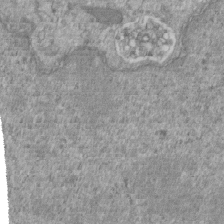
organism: Mouse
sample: ED-1 cell nuclei; centrioles